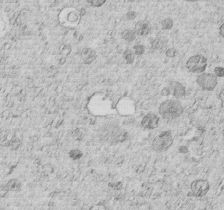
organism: C. elegans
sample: C. elegans embryo early stage